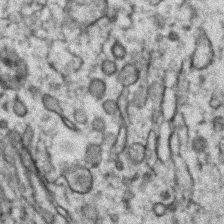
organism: Zebrafish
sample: Zebrafish embryo